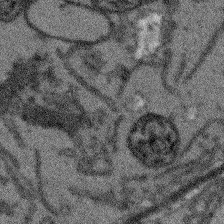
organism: Arabidopsis thaliana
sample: Root tip